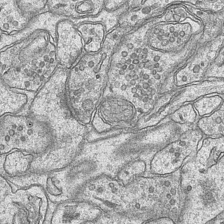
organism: Mouse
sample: CA1 Hippocampus